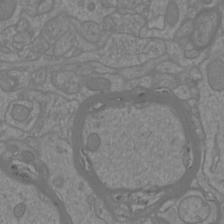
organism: Mouse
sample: Cortical neurons